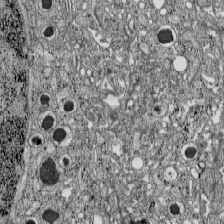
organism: C57BL Mouse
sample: Pancreatic islet